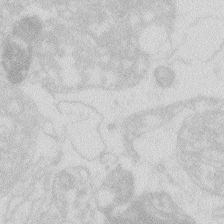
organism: Zebrafish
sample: Macrophage